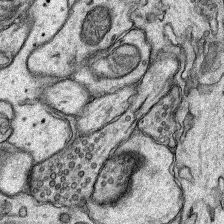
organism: Rat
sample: Hippocampus